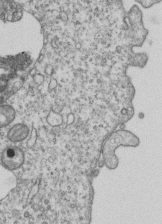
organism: Human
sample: MDA-MB-231 cells